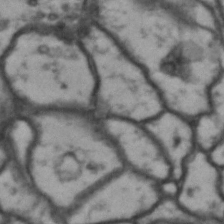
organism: Drosophila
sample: Brain